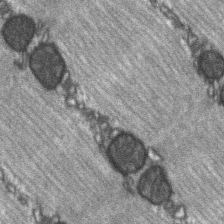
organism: C57BL Mouse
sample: Soleus